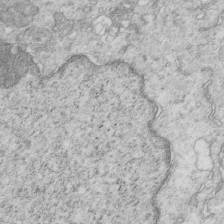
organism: Mouse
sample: Multiciliated cells